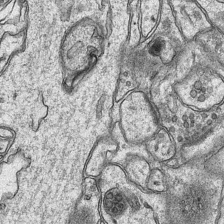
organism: Mouse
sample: CA1 Hippocampus